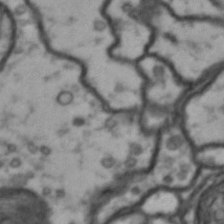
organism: Drosophila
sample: Brain